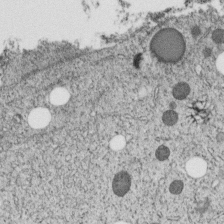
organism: C. elegans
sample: C. elegans embryo early stage